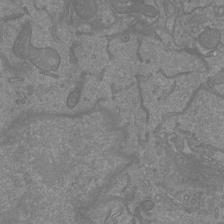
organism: Mouse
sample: Cortical neurons